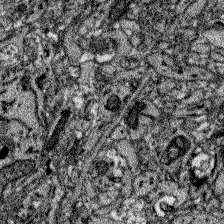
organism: Zebrafish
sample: Larval olfactory bulb